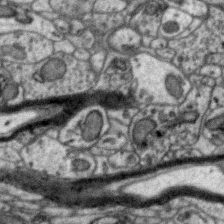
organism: Zebra finch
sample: Brain